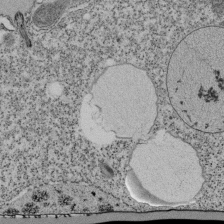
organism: Tetrahymena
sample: Cilia in tetrahymena